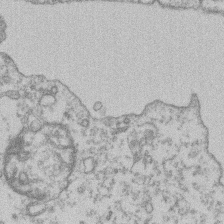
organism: Mouse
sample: T cell stromal cell synapse